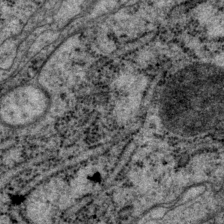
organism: P. pacificus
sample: Pharynx